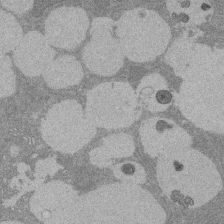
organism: Rat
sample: Salivary granule